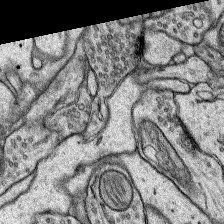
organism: Rat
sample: Hippocampus